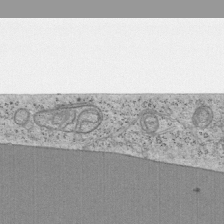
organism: Human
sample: HeLa cells